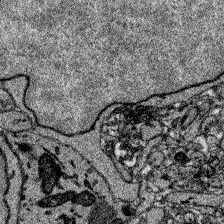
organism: Zebrafish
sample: Larval olfactory bulb